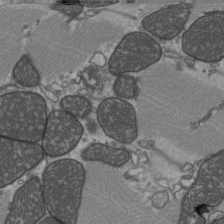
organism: C57BL Mouse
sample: Heart